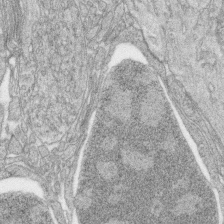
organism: Zebrafish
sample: synaptic ribbons in rod cells and cone cells